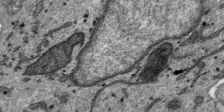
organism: Human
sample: Lung epithelial cells, uninfected (mock) control